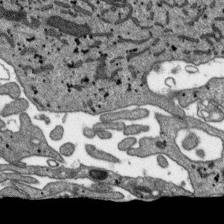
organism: Human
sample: Lung epithelial cells, uninfected (mock) control